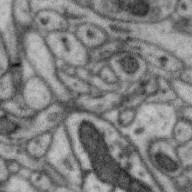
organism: Zebra finch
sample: Brain